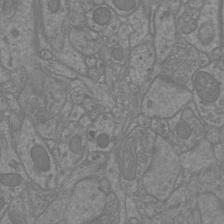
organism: Mouse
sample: Cortical neurons